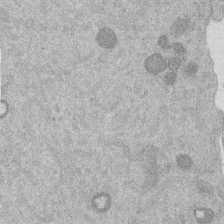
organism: Mouse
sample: Dividing mouse embryo 1 cell stage